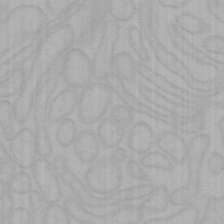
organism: Mouse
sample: Choroid plexus